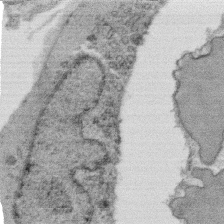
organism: C. elegans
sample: C. elegans oocyte; sperm cells